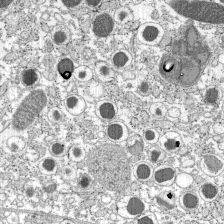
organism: C57BL Mouse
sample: Pancreatic islet